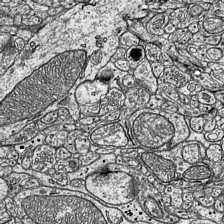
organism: Mouse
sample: Visual Cortex